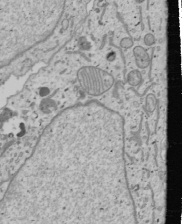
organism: Human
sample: Mitochondria in U2OS cells